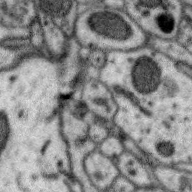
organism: Zebra finch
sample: Brain